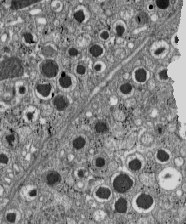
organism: C57BL Mouse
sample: Pancreatic islet